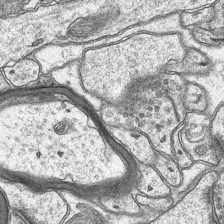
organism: Mouse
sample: CA1 Hippocampus